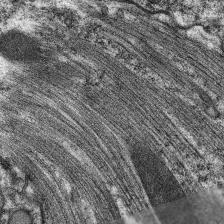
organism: C. elegans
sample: Pharynx